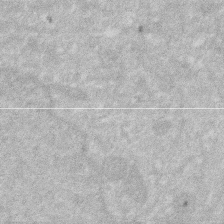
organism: Human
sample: HIV infected U937 cells